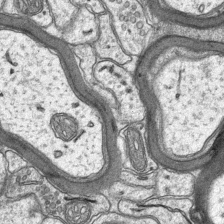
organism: Mouse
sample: CA1 Hippocampus